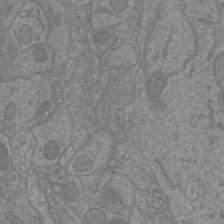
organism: Mouse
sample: Cortical neurons